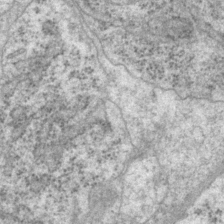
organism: P. pacificus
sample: Pharynx